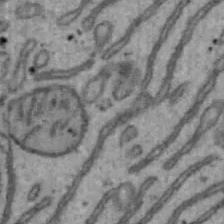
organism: Mouse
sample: Liver